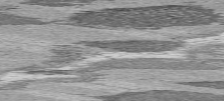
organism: C57BL Mouse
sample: Heart